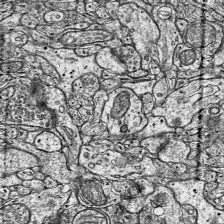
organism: Mouse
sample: Visual Cortex